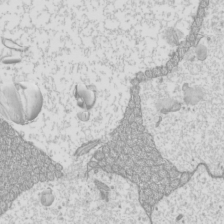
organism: Mouse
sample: Cilia; mouse epididymis